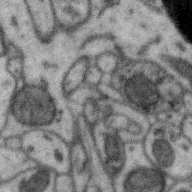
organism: Zebra finch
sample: Brain